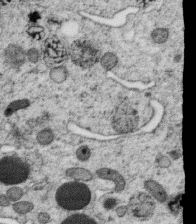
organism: C. elegans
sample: C. elegans oocyte; sperm cells